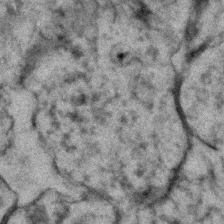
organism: Zebrafish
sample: Zebrafish embryo